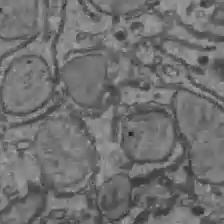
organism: C57BL Mouse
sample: Liver